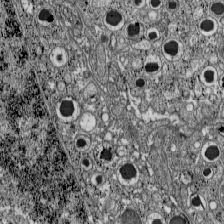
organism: C57BL Mouse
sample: Pancreatic islet